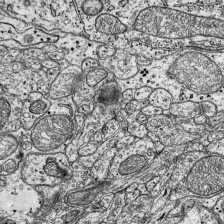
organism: Mouse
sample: Visual Cortex